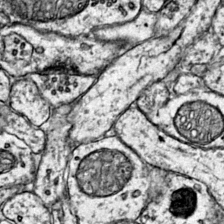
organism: Mouse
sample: Primary visual cortex